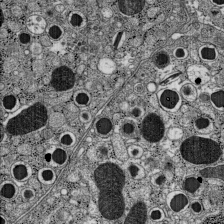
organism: C57BL Mouse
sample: Pancreatic islet